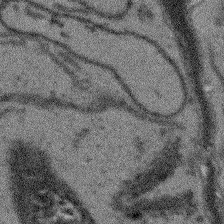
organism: Arabidopsis thaliana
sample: Root tip